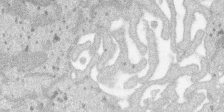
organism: Human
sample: Lung epithelial cells infected with SARS-CoV-2